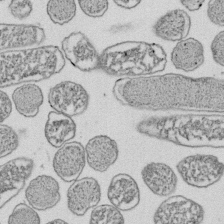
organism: E. coli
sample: Bacterial nucleoid